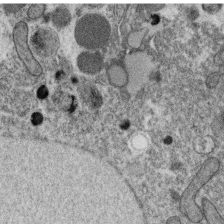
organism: C. elegans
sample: C. elegans oocyte; sperm cells